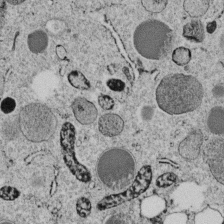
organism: C. elegans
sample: C. elegans embryo early stage